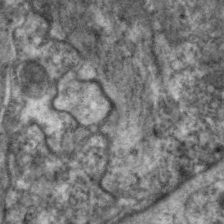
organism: C. elegans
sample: Pharynx